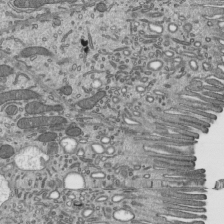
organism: Mouse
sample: Mouse epididymis efferent ductule cilia